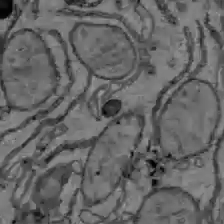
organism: C57BL Mouse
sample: Liver